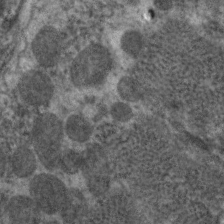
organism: C. elegans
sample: Pharynx